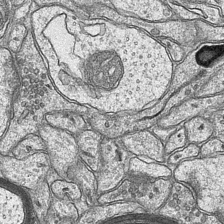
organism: Mouse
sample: CA1 Hippocampus